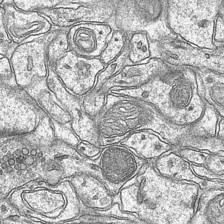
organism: Mouse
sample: CA1 Hippocampus